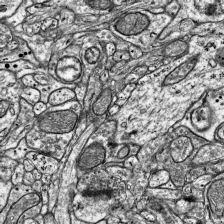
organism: Mouse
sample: Visual Cortex